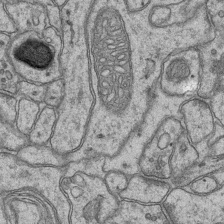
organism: Mouse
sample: CA1 Hippocampus